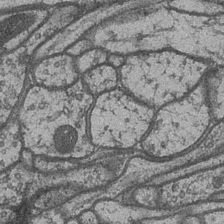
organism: Drosophila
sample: Optic medulla